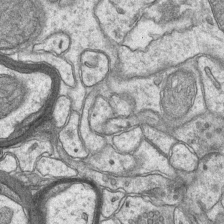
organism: Mouse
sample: CA1 Hippocampus